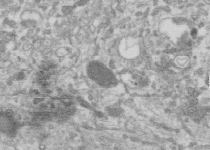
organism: Human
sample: Centriole in RPE cells